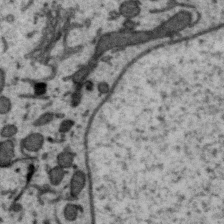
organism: Zebra finch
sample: Brain